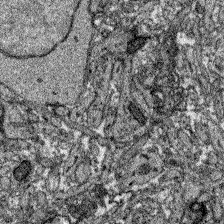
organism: Zebrafish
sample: Larval olfactory bulb